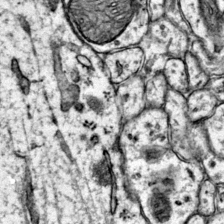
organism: Mouse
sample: Primary visual cortex